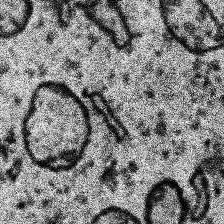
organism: Human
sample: Temporal Lobe